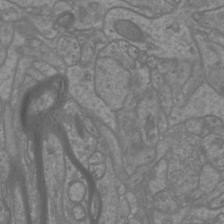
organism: Mouse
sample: Cortical neurons